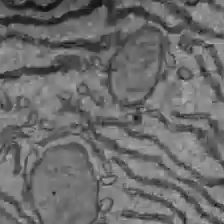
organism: C57BL Mouse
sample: Liver